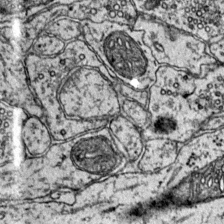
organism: Mouse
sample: Primary visual cortex